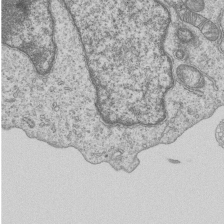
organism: Human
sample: MDA-MB-231 cells